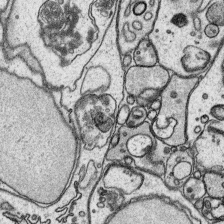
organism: Platynereis dumerilii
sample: Parapodia